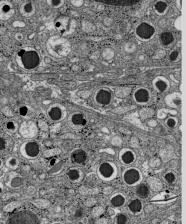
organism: C57BL Mouse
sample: Pancreatic islet